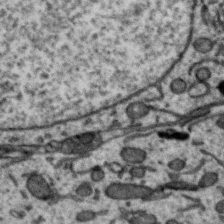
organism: Zebra finch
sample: Brain